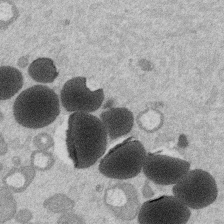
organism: Mouse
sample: Dividing mouse embryo 1 cell stage